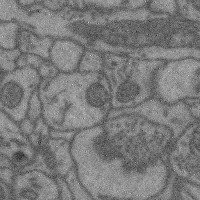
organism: Mouse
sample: Cerebral cortex